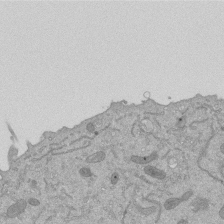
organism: Mouse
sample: ED-1 cell nuclei; centrioles